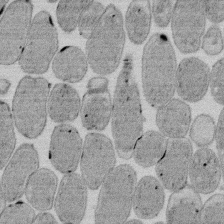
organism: E. coli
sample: Bacterial nucleoid